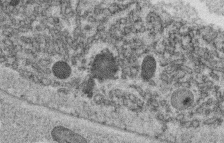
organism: C. elegans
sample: C. elegans oocyte; sperm cells